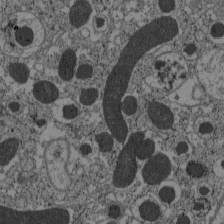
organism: C57BL Mouse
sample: Pancreatic islet